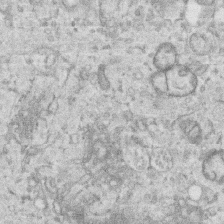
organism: Human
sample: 1205lu cells